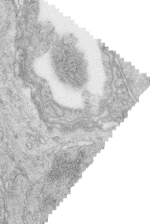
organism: Zebrafish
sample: synaptic ribbons in rod cells and cone cells